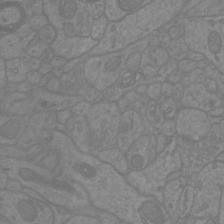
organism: Mouse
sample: Cortical neurons